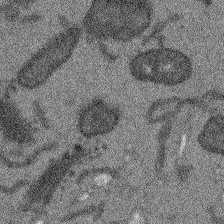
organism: Arabidopsis thaliana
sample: Root tip